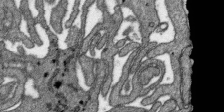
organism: Human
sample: Lung epithelial cells, uninfected (mock) control